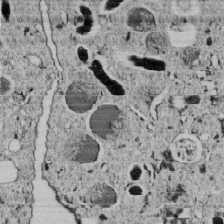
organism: C. elegans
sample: C. elegans embryo early stage